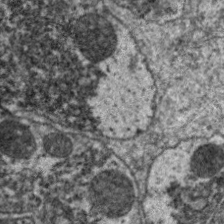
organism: C. elegans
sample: Pharynx